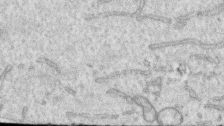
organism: Human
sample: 1205lu cells